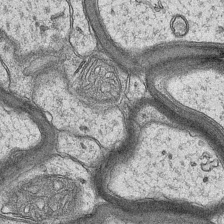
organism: Mouse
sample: CA1 Hippocampus